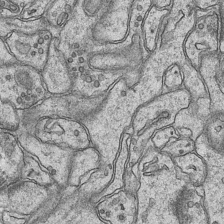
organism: Mouse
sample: CA1 Hippocampus